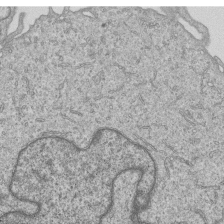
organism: Human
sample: MDA-MB-231 cells